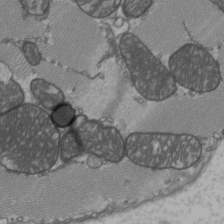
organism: C57BL Mouse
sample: Heart